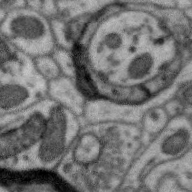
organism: Zebra finch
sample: Brain